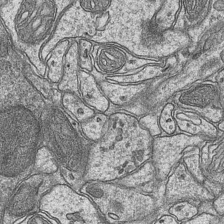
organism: Mouse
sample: CA1 Hippocampus